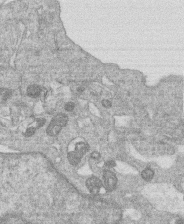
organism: Human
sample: Macrophage cells